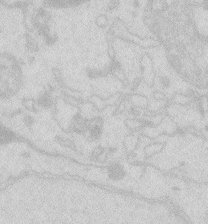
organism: Zebrafish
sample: Macrophage